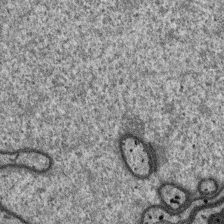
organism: Human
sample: Lung epithelial cells, uninfected (mock) control